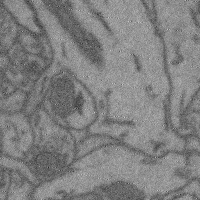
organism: Mouse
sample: Cerebral cortex